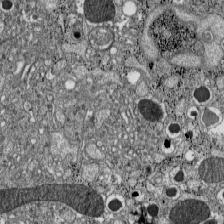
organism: C57BL Mouse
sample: Pancreatic islet